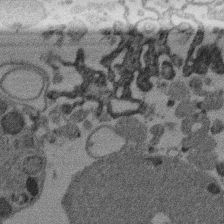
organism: Mouse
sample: Dividing mouse embryo 1 cell stage